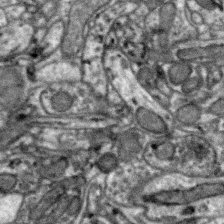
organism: Zebra finch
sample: Brain